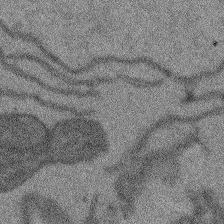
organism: Arabidopsis thaliana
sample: Root tip